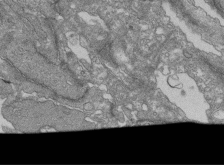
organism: Human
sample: Retinal organoid Rod and Cone cells